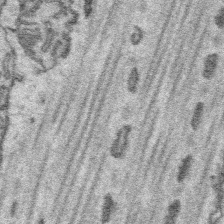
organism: Platynereis dumerilii